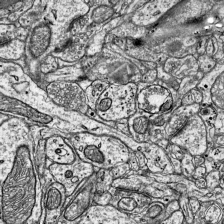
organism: Mouse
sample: Visual Cortex